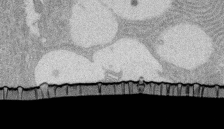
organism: Rat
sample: Salivary granule